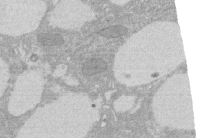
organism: Rat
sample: Salivary granule